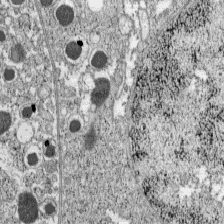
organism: C57BL Mouse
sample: Pancreatic islet